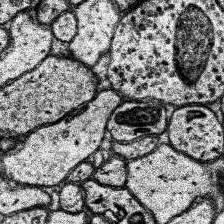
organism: Human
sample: Temporal Lobe